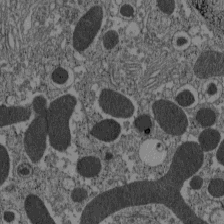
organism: C57BL Mouse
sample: Pancreatic islet